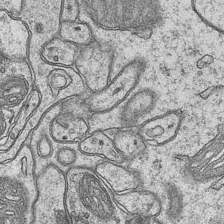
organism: Mouse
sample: CA1 Hippocampus